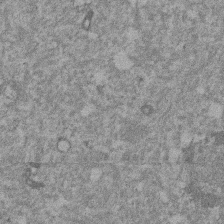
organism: Mouse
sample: Dividing mouse embryo 1 cell stage